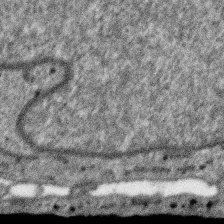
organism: Human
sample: Lung epithelial cells infected with SARS-CoV-2